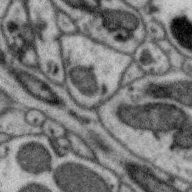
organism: Zebra finch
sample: Brain